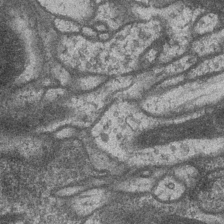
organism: Drosophila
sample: Optic medulla